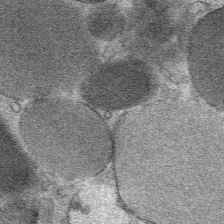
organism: Mouse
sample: Mouse Salivary gland